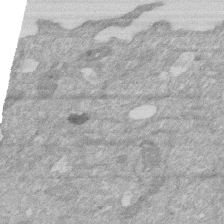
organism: Human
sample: HIV infected U937 cells